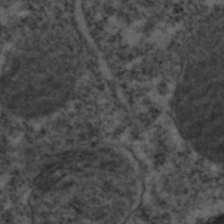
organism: C. elegans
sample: C. elegans embryo